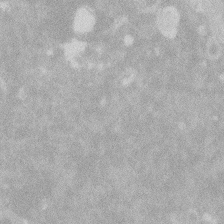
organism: Zebrafish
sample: Macrophage